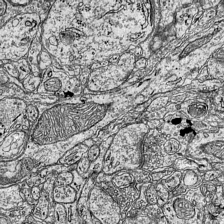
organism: Mouse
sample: Visual Cortex